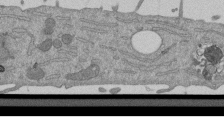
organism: Mouse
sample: ED-1 cell nuclei; centrioles